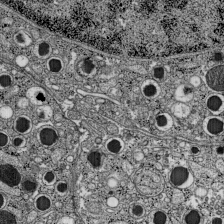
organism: C57BL Mouse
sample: Pancreatic islet